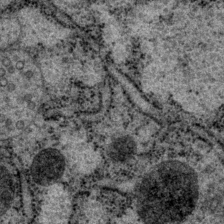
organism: P. pacificus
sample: Pharynx